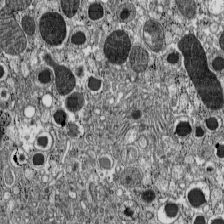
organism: C57BL Mouse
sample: Pancreatic islet